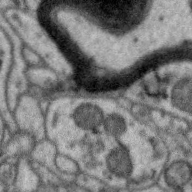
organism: Zebra finch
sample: Brain